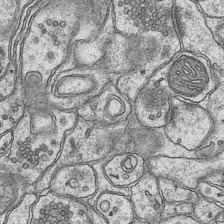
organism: Mouse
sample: CA1 Hippocampus